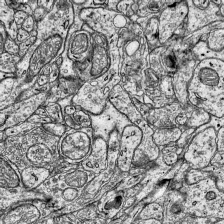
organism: Mouse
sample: Visual Cortex